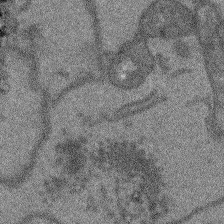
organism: Arabidopsis thaliana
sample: Root tip